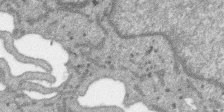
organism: Human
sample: Lung epithelial cells infected with SARS-CoV-2